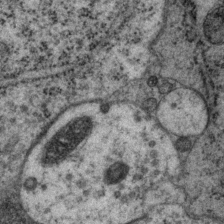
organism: P. pacificus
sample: Pharynx